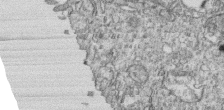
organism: Human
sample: HeLa cell HIV synapse